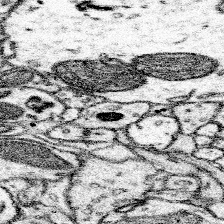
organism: Mouse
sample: Somatosensory cortex neuropil